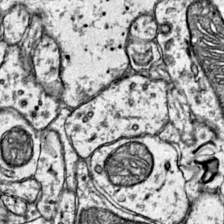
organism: Mouse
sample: Primary visual cortex